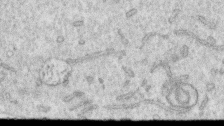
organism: Human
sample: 1205lu cells